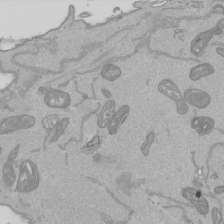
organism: Human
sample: Mitochondria in HCT116 cells